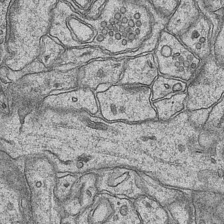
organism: Mouse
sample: CA1 Hippocampus